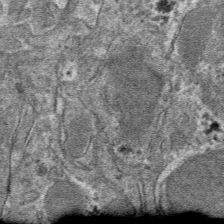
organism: Mouse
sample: Mouse hepatocytes